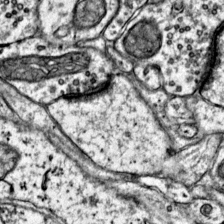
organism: Mouse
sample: Primary visual cortex